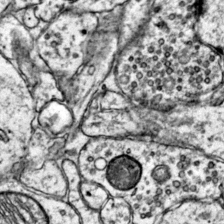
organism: Mouse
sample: Primary visual cortex